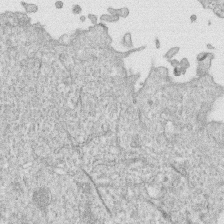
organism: Human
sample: HeLa cell HIV synapse